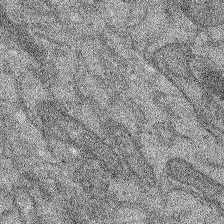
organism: Human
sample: HeLa cells